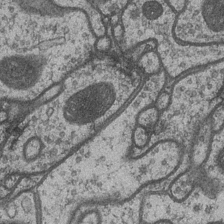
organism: Drosophila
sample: Optic medulla